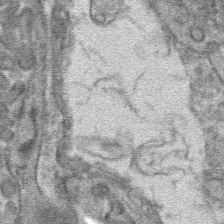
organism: Mouse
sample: Mouse hepatocytes